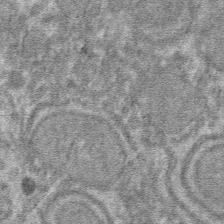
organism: Mouse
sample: Mouse hepatocytes